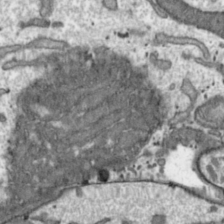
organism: Toxoplasma gondii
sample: Parasites in a vacuole inside a host cell